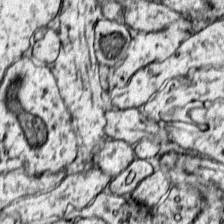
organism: Mouse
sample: Primary visual cortex